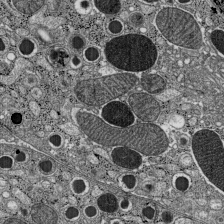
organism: C57BL Mouse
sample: Pancreatic islet